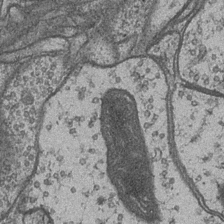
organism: Drosophila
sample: Optic medulla